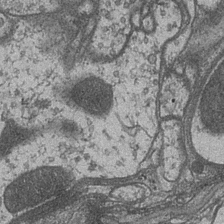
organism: Drosophila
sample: Optic medulla